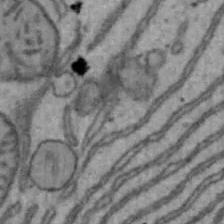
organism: Mouse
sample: Liver